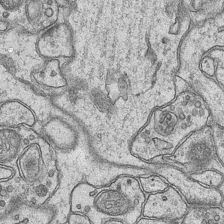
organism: Mouse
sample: CA1 Hippocampus